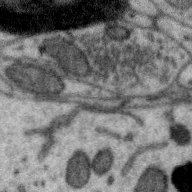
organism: Zebra finch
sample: Brain